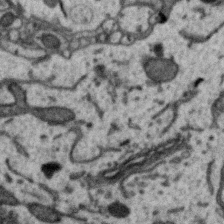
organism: Zebra finch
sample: Brain